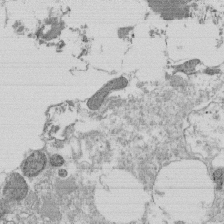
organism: Tetrahymena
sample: Cilia in tetrahymena